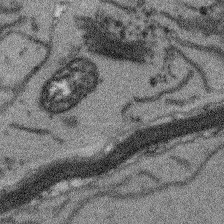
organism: Arabidopsis thaliana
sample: Root tip